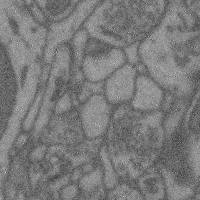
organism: Mouse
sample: Cerebral cortex